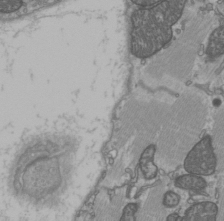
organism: C57BL Mouse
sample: Heart